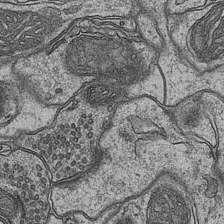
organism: Mouse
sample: CA1 Hippocampus